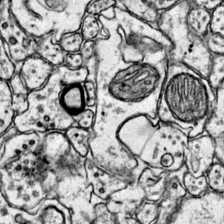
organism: Mouse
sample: Primary visual cortex